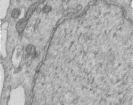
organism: Human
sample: Centriole in RPE cells